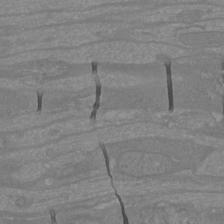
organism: Mouse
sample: Cortical neurons